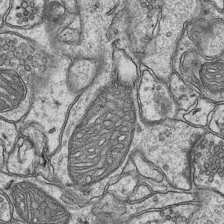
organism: Mouse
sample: CA1 Hippocampus